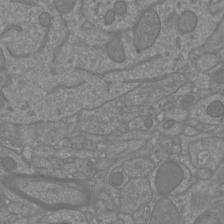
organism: Mouse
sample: Cortical neurons